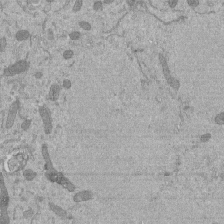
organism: Mouse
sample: ED-1 cell nuclei; centrioles